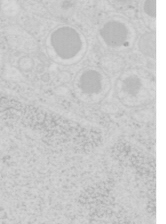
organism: Mouse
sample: Pancreas